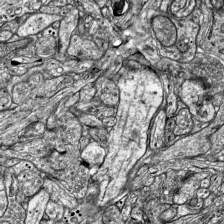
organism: Mouse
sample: Visual Cortex